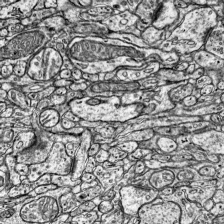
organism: Mouse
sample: Visual Cortex